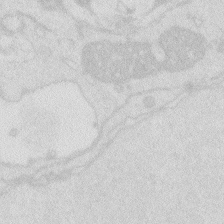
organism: Zebrafish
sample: Macrophage